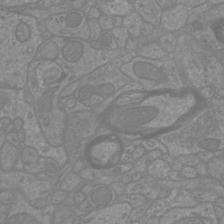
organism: Mouse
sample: Cortical neurons